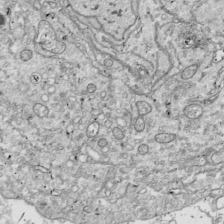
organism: Drosophila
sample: Cell division; meiosis; drosophila spermatocytes